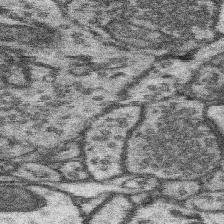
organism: Mouse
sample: Somatosensory cortex neuropil